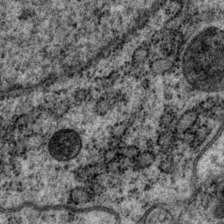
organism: P. pacificus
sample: Pharynx